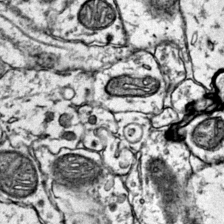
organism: Mouse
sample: Primary visual cortex